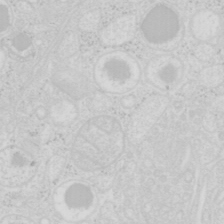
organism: Mouse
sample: Pancreas